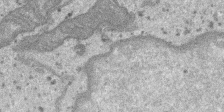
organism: Human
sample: Lung epithelial cells infected with SARS-CoV-2